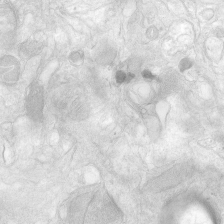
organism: Human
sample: Neocortex